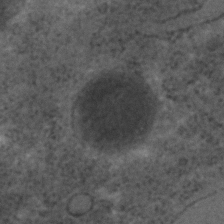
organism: C. elegans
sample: C. elegans embryo